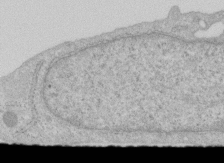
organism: Human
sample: Centriole in RPE cells